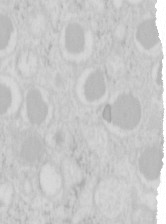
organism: Mouse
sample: Pancreas